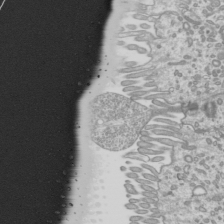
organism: Mouse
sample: Cilia; mouse epididymis